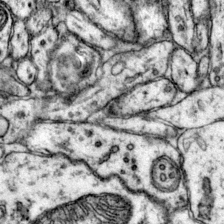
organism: Mouse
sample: Primary visual cortex